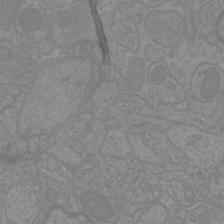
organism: Mouse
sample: Cortical neurons